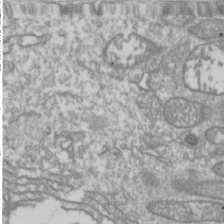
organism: Drosophila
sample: Cell division; meiosis; drosophila spermatocytes